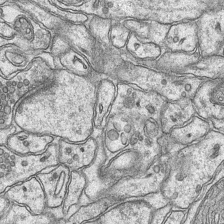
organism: Mouse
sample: CA1 Hippocampus